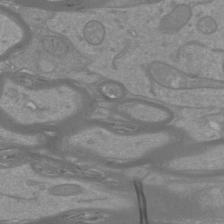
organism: Mouse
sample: Cortical neurons